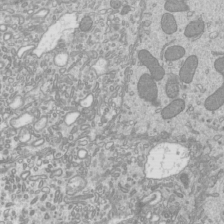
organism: Mouse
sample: Cilia; mouse epididymis